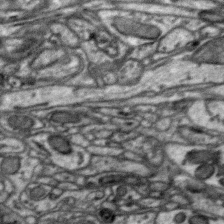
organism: Zebra finch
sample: Brain